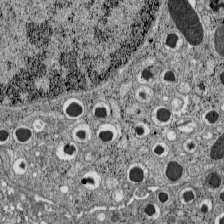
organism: C57BL Mouse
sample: Pancreatic islet